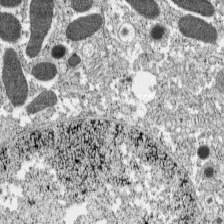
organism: C57BL Mouse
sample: Pancreatic islet